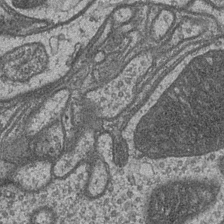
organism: Drosophila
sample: Optic medulla